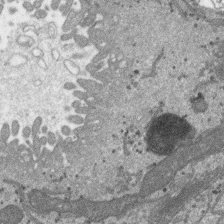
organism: Human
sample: Lung epithelial cells infected with SARS-CoV-2